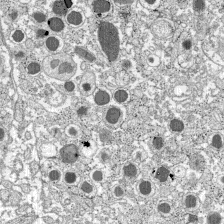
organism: C57BL Mouse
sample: Pancreatic islet